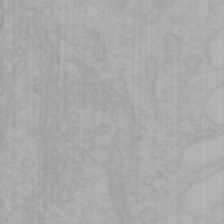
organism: Mouse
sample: Choroid plexus